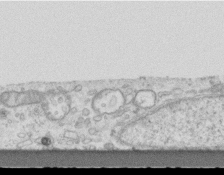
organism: Mouse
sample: Centriole in ependymal cells